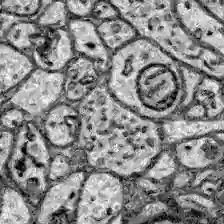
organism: Zebrafish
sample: Brain